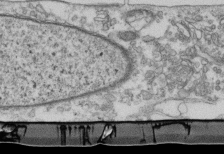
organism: Mouse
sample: Cilia; retinal pigment epithelium